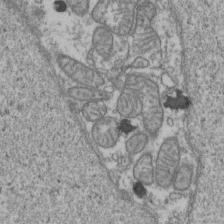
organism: Human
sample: Activated Jurkat CD4+ T cells